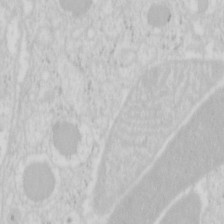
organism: Mouse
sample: Pancreas